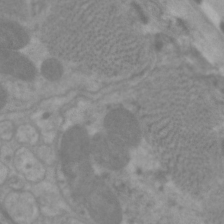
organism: C. elegans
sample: Pharynx